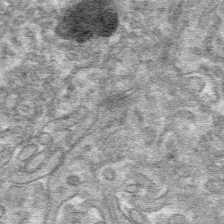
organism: Mouse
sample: Mouse hepatocytes